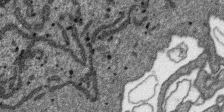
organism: Human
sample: Lung epithelial cells infected with SARS-CoV-2